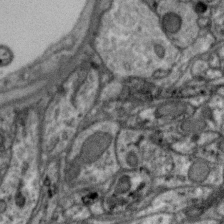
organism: Zebra finch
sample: Brain